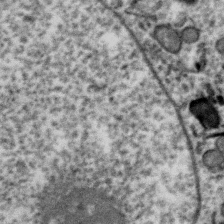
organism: Zebra finch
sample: Brain